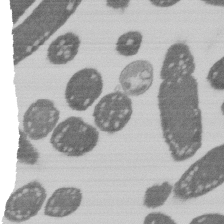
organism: E. coli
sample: Bacterial nucleoid